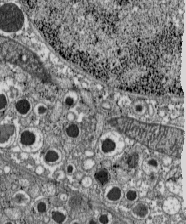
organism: C57BL Mouse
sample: Pancreatic islet